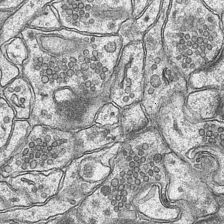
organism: Mouse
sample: CA1 Hippocampus